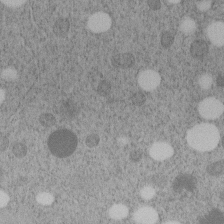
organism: C. elegans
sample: C. elegans embryo early stage